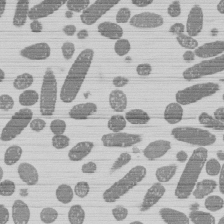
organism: E. coli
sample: Bacterial nucleoid